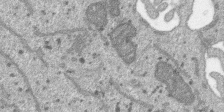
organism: Human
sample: Lung epithelial cells infected with SARS-CoV-2